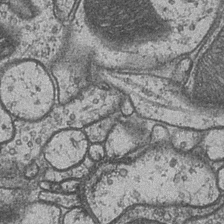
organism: Drosophila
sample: Optic medulla